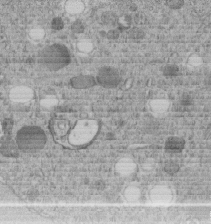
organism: C. elegans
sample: C. elegans embryo early stage